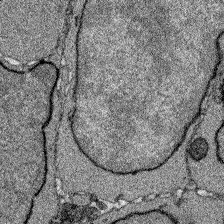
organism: Zebrafish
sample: Larval olfactory bulb